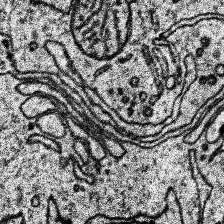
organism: Human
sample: Temporal Lobe